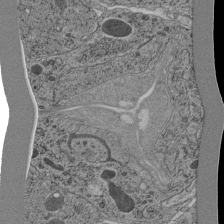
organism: C. elegans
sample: C. elegans pharynx